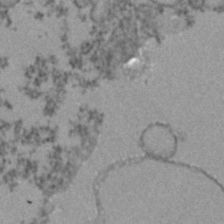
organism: Zebrafish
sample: Zebrafish embryo